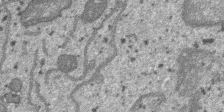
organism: Human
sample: Lung epithelial cells infected with SARS-CoV-2